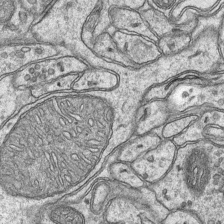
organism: Mouse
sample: CA1 Hippocampus